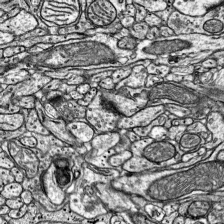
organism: Mouse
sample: Visual Cortex